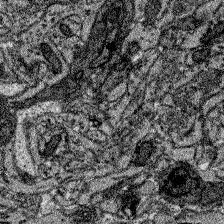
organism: Zebrafish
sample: Larval olfactory bulb